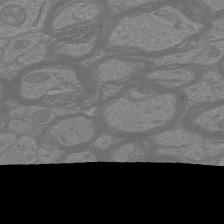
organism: Mouse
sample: Cortical neurons